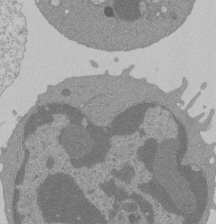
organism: Mouse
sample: Activated Pmel transgenic CD8+ T Cells